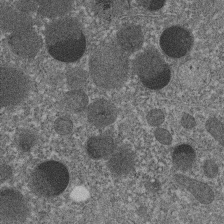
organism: C. elegans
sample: C. elegans embryo early stage